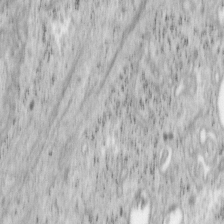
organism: Human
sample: HeLa cells